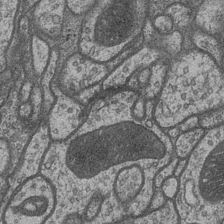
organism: Drosophila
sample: Optic medulla